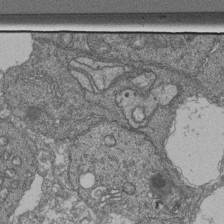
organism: Human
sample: Retinal organoid Rod and Cone cells